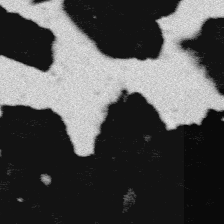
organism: Platynereis dumerilii